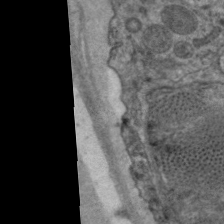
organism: C. elegans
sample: Pharynx